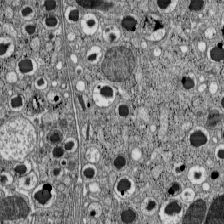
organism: C57BL Mouse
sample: Pancreatic islet